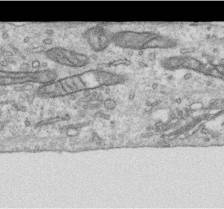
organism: Human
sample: Centriole in RPE cells